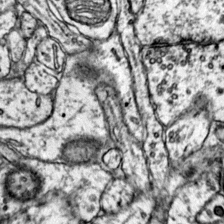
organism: Mouse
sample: Primary visual cortex